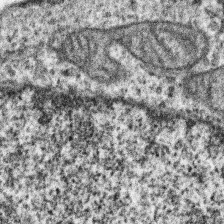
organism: Human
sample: HeLa cells